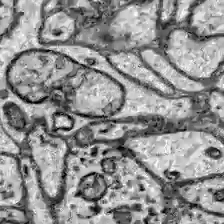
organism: Zebrafish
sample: Brain